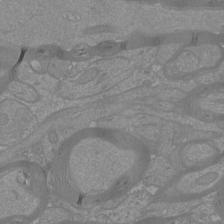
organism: Mouse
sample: Cortical neurons